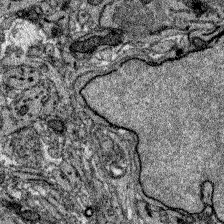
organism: Zebrafish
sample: Larval olfactory bulb